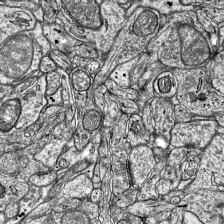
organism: Mouse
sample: Visual Cortex